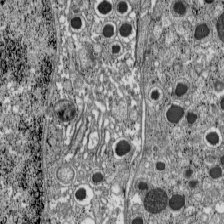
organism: C57BL Mouse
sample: Pancreatic islet